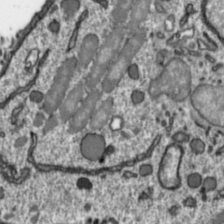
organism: Toxoplasma gondii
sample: Parasites in a vacuole inside a host cell